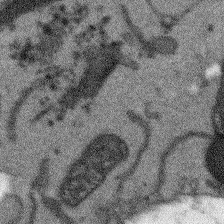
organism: Arabidopsis thaliana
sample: Root tip